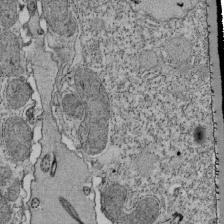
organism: Tetrahymena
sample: Cilia in tetrahymena